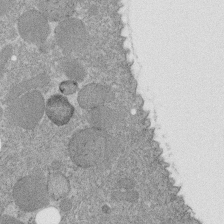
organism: C. elegans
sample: C. elegans embryo early stage